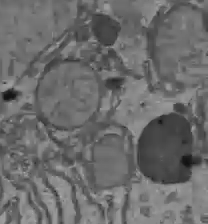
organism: C57BL Mouse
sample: Liver